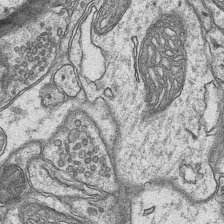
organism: Mouse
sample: CA1 Hippocampus